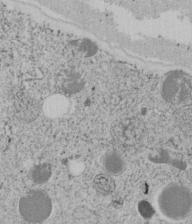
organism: C. elegans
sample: C. elegans embryo early stage